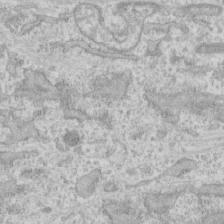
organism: Human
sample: CRL-1474